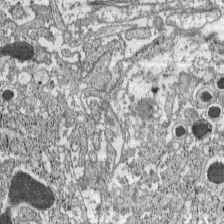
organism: C57BL Mouse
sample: Pancreatic islet